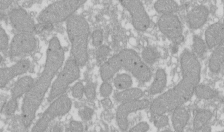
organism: Xenopus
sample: Cilia; centrioles in frog embryo cells